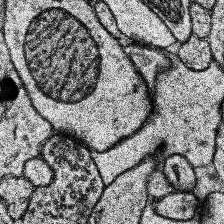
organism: Human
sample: Temporal Lobe